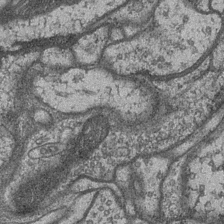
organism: Drosophila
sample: Optic medulla